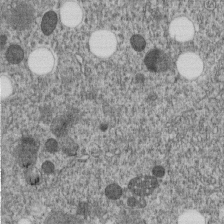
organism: C. elegans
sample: C. elegans embryo early stage